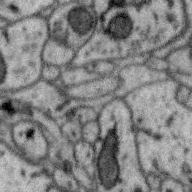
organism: Zebra finch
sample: Brain